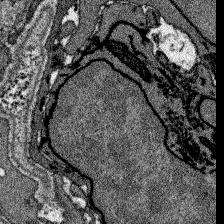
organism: Zebrafish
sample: Larval olfactory bulb